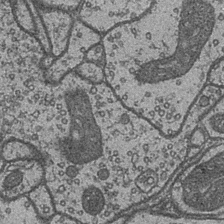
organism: Drosophila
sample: Optic medulla